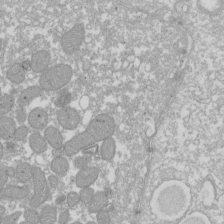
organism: Xenopus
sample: Cilia; centrioles in frog embryo cells